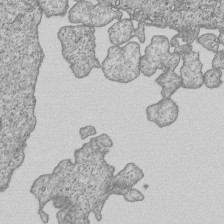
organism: Human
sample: MDA-MB-231 cells